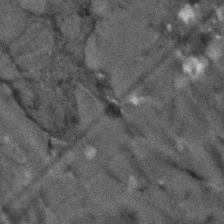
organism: Human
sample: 1205lu cells